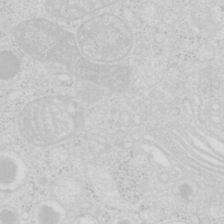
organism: Mouse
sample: Pancreas